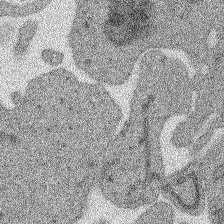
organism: Human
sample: HeLa cells